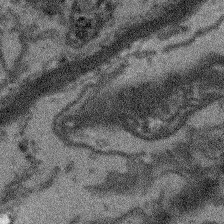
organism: Arabidopsis thaliana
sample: Root tip